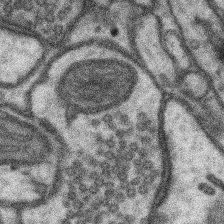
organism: Mouse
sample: Somatosensory cortex neuropil